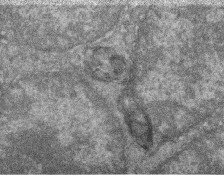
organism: Zebrafish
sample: Cilia; retinal pigment epithelium